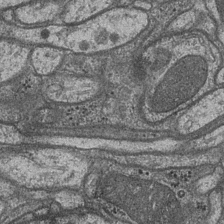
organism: Drosophila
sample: Optic medulla